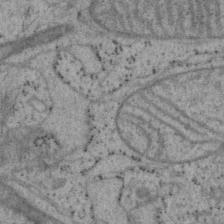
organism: Human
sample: HeLa cells